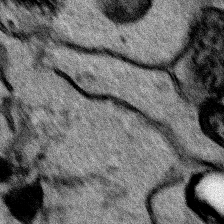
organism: Human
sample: Mitochondria in HCT116 cells